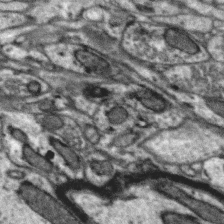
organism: Zebra finch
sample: Brain